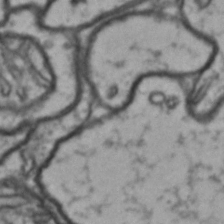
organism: Drosophila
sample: Brain